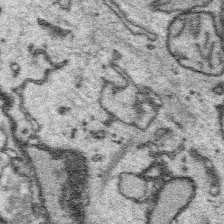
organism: Platynereis dumerilii